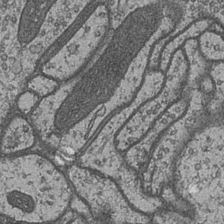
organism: Drosophila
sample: Optic medulla